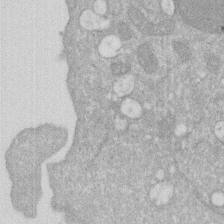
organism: Human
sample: HIV infected U937 cells